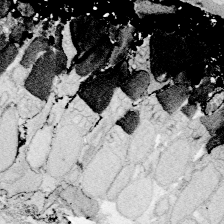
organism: Zebrafish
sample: Whole-Brain